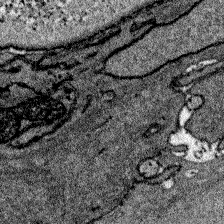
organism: Zebrafish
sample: Larval olfactory bulb